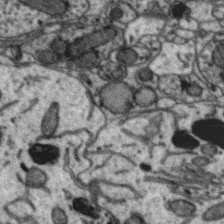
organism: Zebra finch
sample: Brain